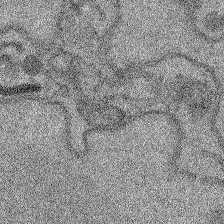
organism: Human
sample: HeLa cells